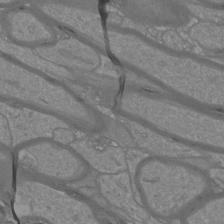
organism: Mouse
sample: Cortical neurons